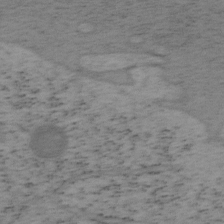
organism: Mouse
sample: OT-I killer T cells with ID8 ovarian cancer cells